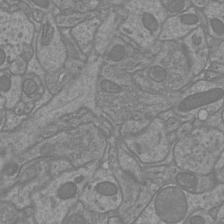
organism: Mouse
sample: Cortical neurons